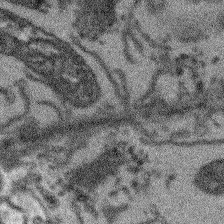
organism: Arabidopsis thaliana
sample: Root tip